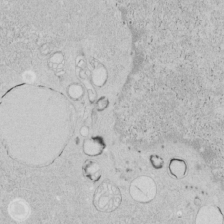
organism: Human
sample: Mitochondria in HCT116 cells